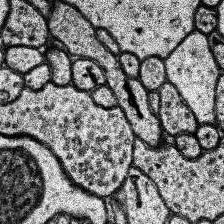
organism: Human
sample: Temporal Lobe